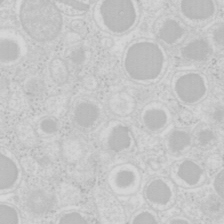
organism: Mouse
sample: Pancreas